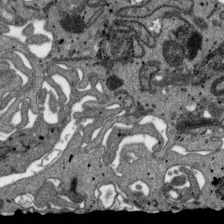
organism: Human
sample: Lung epithelial cells, uninfected (mock) control